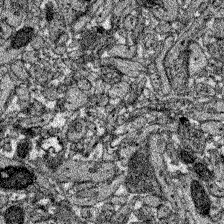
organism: Zebrafish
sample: Larval olfactory bulb